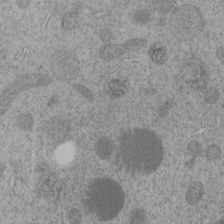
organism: C. elegans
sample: C. elegans embryo early stage